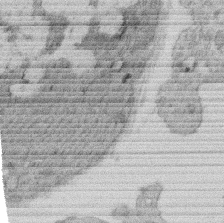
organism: Rat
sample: Salivary granule